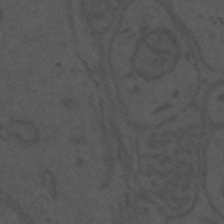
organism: Mouse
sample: Suprachiasmatic nucleus